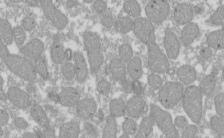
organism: Xenopus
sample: Cilia; centrioles in frog embryo cells